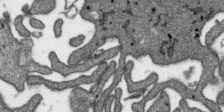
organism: Human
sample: Lung epithelial cells, uninfected (mock) control